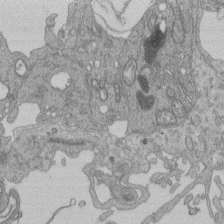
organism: Human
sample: Retinal organoid Rod and Cone cells